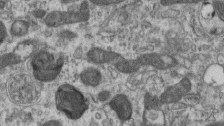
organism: Mouse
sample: Centriole in ependymal cells